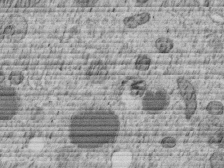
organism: C. elegans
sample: C. elegans embryo early stage